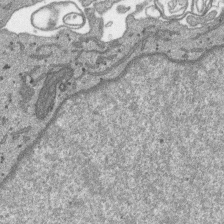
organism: Human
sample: Lung epithelial cells infected with SARS-CoV-2